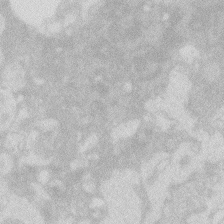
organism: Zebrafish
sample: Macrophage